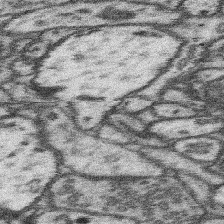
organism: Mouse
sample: Somatosensory cortex neuropil